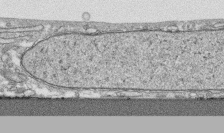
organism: Human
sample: CRL-1474